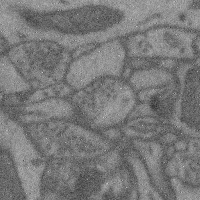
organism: Mouse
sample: Cerebral cortex